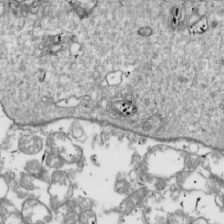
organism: Drosophila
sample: Cell division; meiosis; drosophila spermatocytes